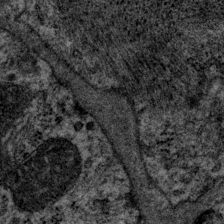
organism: P. pacificus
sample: Pharynx